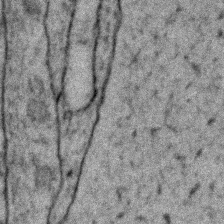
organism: Zebrafish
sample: Zebrafish embryo